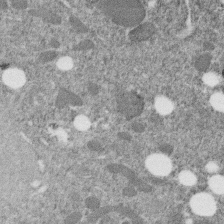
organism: C. elegans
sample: C. elegans embryo early stage